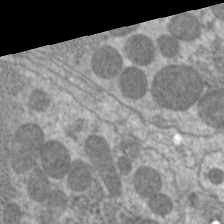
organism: C. elegans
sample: Pharynx